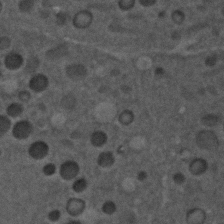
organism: C. elegans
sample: C. elegans embryo